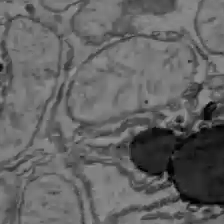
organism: C57BL Mouse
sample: Liver